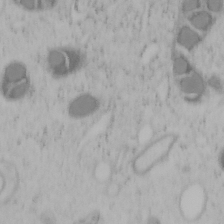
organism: Mouse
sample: OT-I killer T cells with ID8 ovarian cancer cells